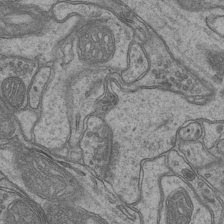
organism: Mouse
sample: CA1 Hippocampus